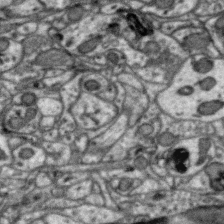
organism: Zebra finch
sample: Brain